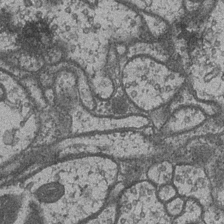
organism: Drosophila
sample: Optic medulla